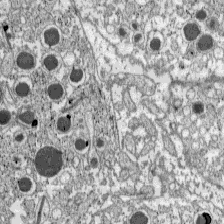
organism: C57BL Mouse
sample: Pancreatic islet